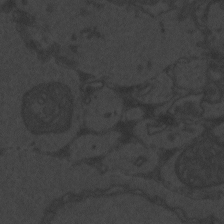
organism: Zebrafish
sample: Macrophage infected with Toxoplasma gondii